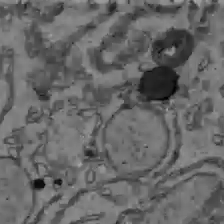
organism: C57BL Mouse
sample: Liver